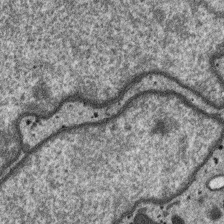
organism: Human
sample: Lung epithelial cells infected with SARS-CoV-2